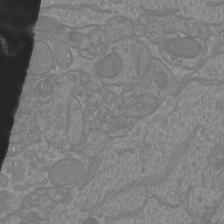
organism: Mouse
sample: Cortical neurons